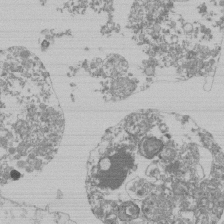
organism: Mouse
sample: Activated Pmel transgenic CD8+ T Cells